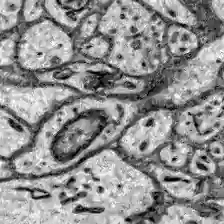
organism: Zebrafish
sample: Brain